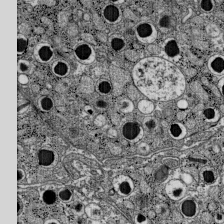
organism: C57BL Mouse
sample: Pancreatic islet